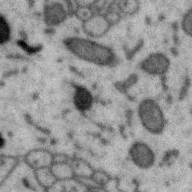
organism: Zebra finch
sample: Brain